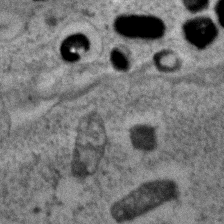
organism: Zebrafish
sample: Zebrafish embryo